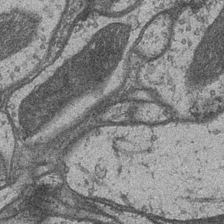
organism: Drosophila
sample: Optic medulla